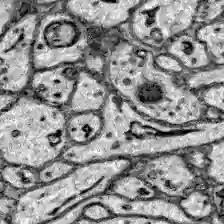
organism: Zebrafish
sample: Brain